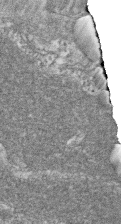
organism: Zebrafish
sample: Cilia; retinal pigment epithelium